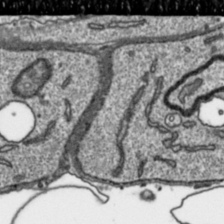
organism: Toxoplasma gondii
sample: Parasites in a vacuole inside a host cell